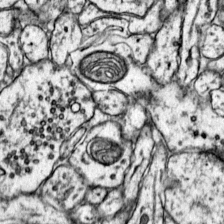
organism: Mouse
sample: Primary visual cortex